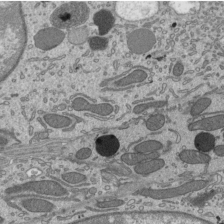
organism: Mouse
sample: Mouse epididymis efferent ductule cilia